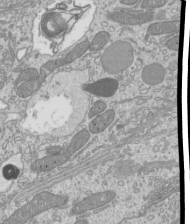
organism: Mouse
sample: Cilia; mouse epididymis